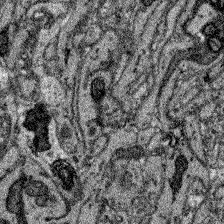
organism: Zebrafish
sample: Larval olfactory bulb